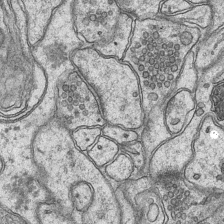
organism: Mouse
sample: CA1 Hippocampus